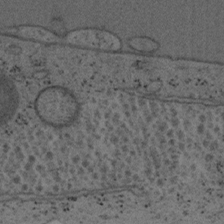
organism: Human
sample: HeLa cells